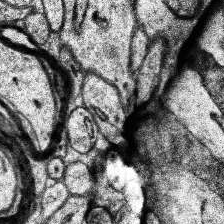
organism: Human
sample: Temporal Lobe